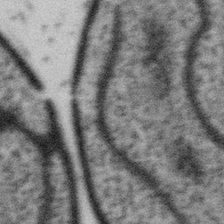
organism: Gemmata obscuriglobus